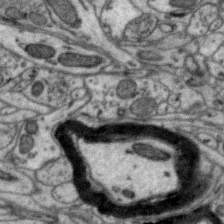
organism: Zebra finch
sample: Brain